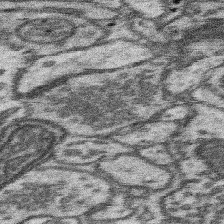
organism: Mouse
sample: Somatosensory cortex neuropil